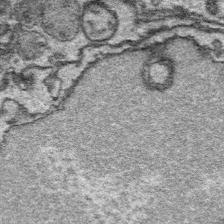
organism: Platynereis dumerilii